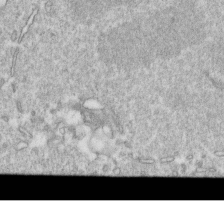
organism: Mouse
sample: Activated OT-1 CD8+ T cells